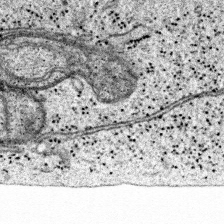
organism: Human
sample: HeLa cells